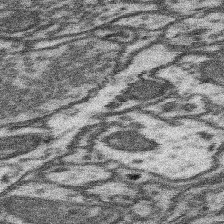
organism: Mouse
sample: Somatosensory cortex neuropil